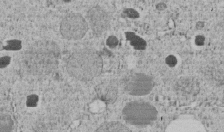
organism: C. elegans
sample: C. elegans embryo early stage